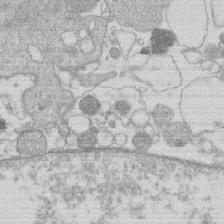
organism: Human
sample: Macrophage cells